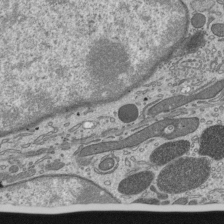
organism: Mouse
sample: Mouse epididymis efferent ductule cilia